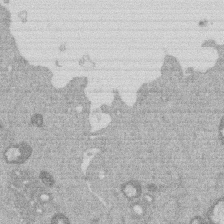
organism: Mouse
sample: Dividing mouse embryo 1 cell stage